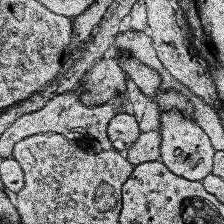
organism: Human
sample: Temporal Lobe